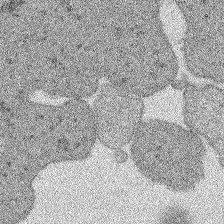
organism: Human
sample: HeLa cells